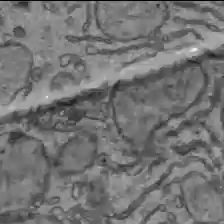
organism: C57BL Mouse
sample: Liver